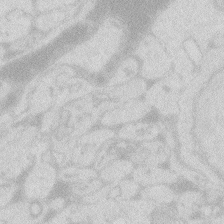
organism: Zebrafish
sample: Macrophage